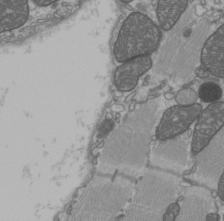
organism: C57BL Mouse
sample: Heart